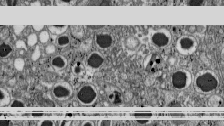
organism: C57BL Mouse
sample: Pancreatic islet